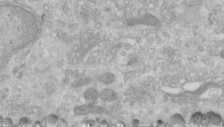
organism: Human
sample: Centriole in RPE cells